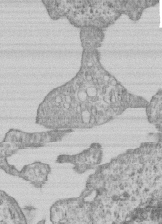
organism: Human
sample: MDA-MB-231 cells